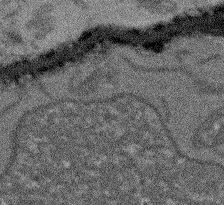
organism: Arabidopsis thaliana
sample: Root tip